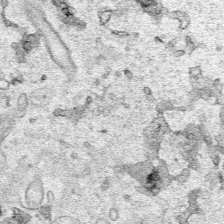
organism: Human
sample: Mitochondria in HCT116 cells